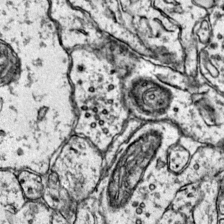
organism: Mouse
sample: Primary visual cortex